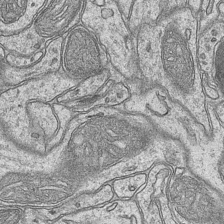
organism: Mouse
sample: CA1 Hippocampus